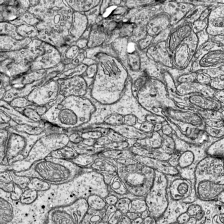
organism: Mouse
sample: Visual Cortex